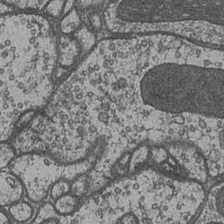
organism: Drosophila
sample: Optic medulla